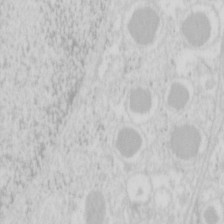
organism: Mouse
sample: Pancreas